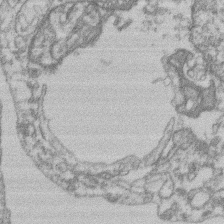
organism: Mouse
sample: T cell stromal cell synapse